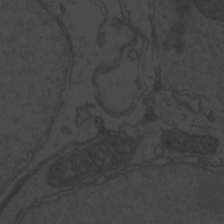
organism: Zebrafish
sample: Macrophage infected with Toxoplasma gondii